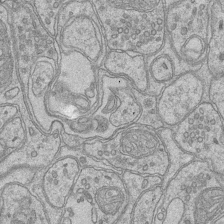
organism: Mouse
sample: CA1 Hippocampus